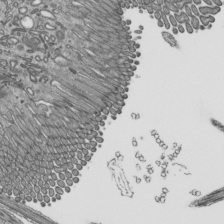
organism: Mouse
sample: Mouse epididymis efferent ductule cilia